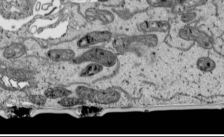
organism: Human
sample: Mitochondria in HCT116 cells